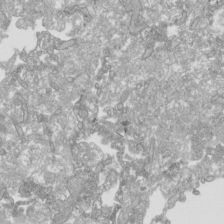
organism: Human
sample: Mitochondria in HCT116 cells